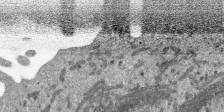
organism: Human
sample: Lung epithelial cells infected with SARS-CoV-2